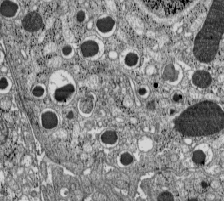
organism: C57BL Mouse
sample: Pancreatic islet